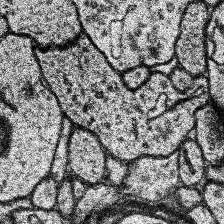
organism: Human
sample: Temporal Lobe